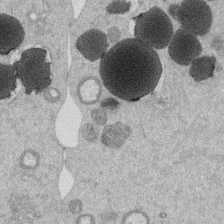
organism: Mouse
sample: Dividing mouse embryo 1 cell stage